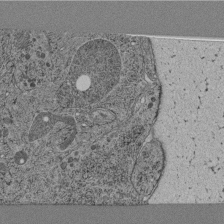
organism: C. elegans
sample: C. elegans pharynx